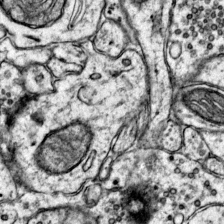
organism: Mouse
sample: Primary visual cortex